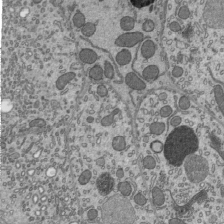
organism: Mouse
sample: Mouse epididymis efferent ductule cilia